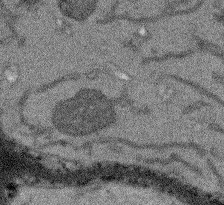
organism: Arabidopsis thaliana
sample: Root tip